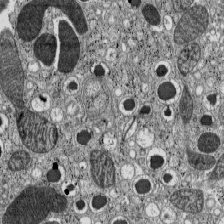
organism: C57BL Mouse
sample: Pancreatic islet